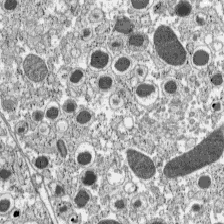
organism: C57BL Mouse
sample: Pancreatic islet